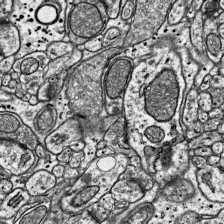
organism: Mouse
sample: Visual Cortex